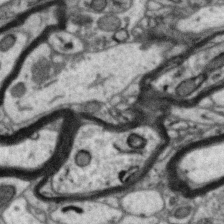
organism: Zebra finch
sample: Brain